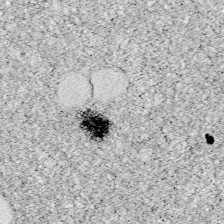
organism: Zebrafish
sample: Whole-Brain